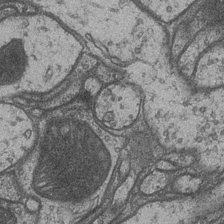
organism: Drosophila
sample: Optic medulla